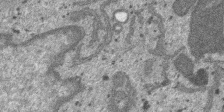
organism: Human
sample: Lung epithelial cells infected with SARS-CoV-2